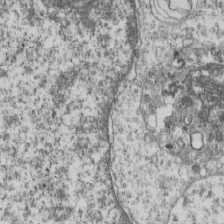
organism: Human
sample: MDA-MB-231 cells